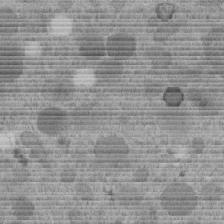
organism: C. elegans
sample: C. elegans embryo early stage